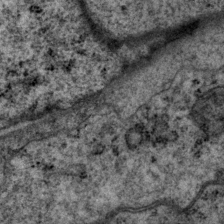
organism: P. pacificus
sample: Pharynx